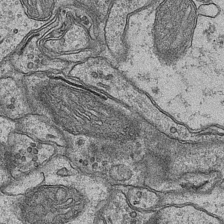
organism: Mouse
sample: CA1 Hippocampus